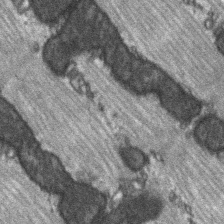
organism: C57BL Mouse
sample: Soleus